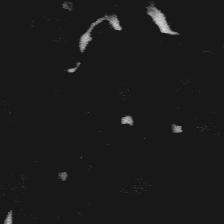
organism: Platynereis dumerilii